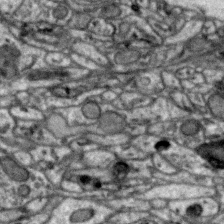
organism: Zebra finch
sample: Brain